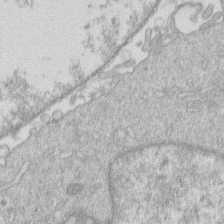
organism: Human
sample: Macrophage cells